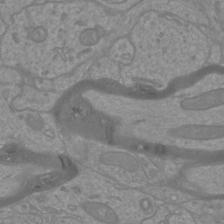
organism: Mouse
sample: Cortical neurons